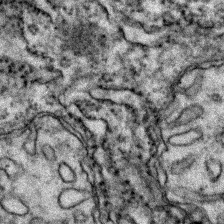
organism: Zebrafish